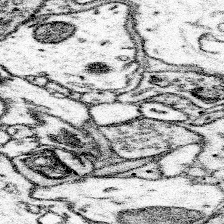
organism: Mouse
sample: Somatosensory cortex neuropil